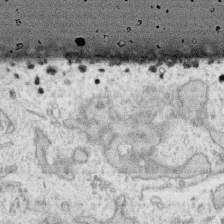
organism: Human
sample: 1205lu cells